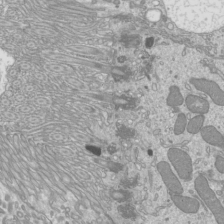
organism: Mouse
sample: Cilia; mouse epididymis